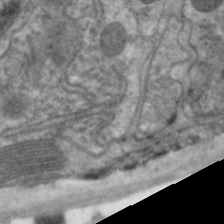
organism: C. elegans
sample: Pharynx